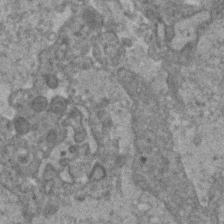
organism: Human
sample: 1205lu cells